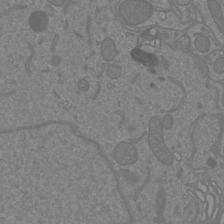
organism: Mouse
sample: Cortical neurons